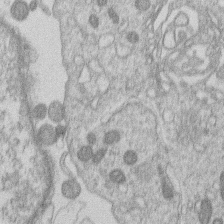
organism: Human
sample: Macrophage cells